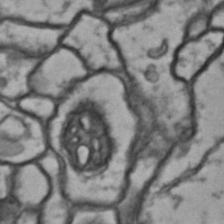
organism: Drosophila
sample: Brain